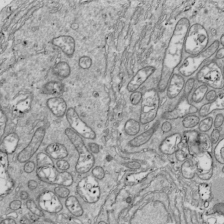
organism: Drosophila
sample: Cell division; meiosis; drosophila spermatocytes